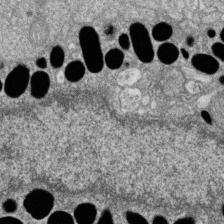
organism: Zebrafish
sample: Cilia; retinal pigment epithelium